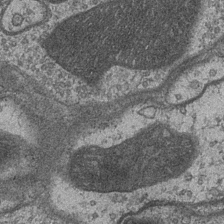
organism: Drosophila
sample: Optic medulla